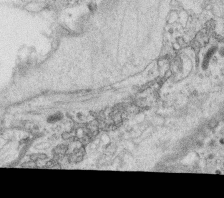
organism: C. elegans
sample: C. elegans oocyte; sperm cells